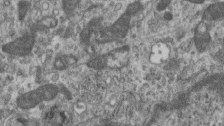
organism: Mouse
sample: Centriole in ependymal cells